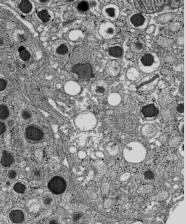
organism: C57BL Mouse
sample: Pancreatic islet